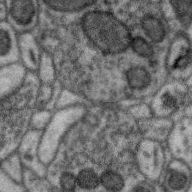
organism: Zebra finch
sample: Brain